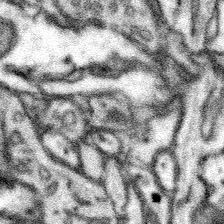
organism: Mouse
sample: Somatosensory cortex neuropil